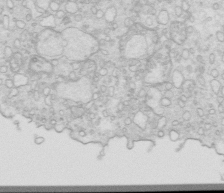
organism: Mouse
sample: Multiciliated cells